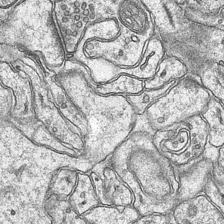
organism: Mouse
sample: CA1 Hippocampus